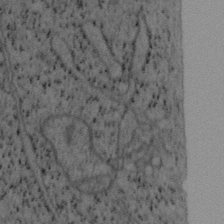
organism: Human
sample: HeLa cells